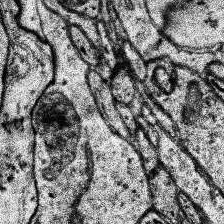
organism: Human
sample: Temporal Lobe